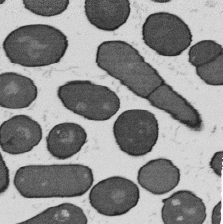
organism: B. subtilis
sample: Bacterial spore